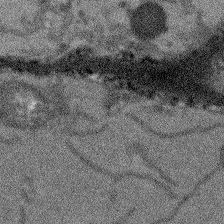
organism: Arabidopsis thaliana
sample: Root tip